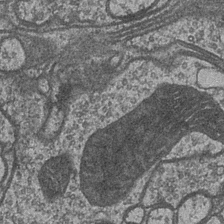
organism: Drosophila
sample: Optic medulla